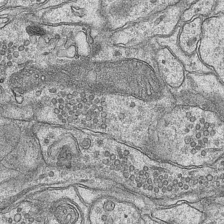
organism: Mouse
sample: CA1 Hippocampus